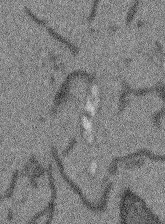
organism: Arabidopsis thaliana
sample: Root tip